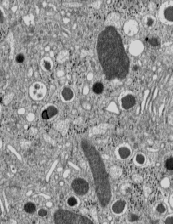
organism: C57BL Mouse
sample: Pancreatic islet